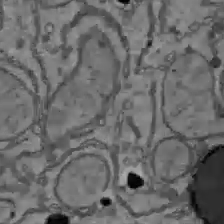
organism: C57BL Mouse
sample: Liver